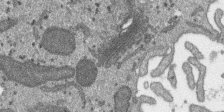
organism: Human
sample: Lung epithelial cells infected with SARS-CoV-2